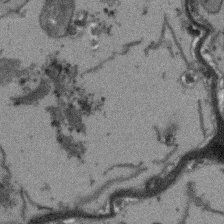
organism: Arabidopsis thaliana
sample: Root tip